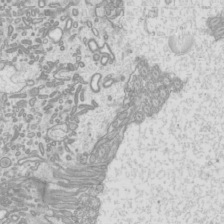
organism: Mouse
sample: Cilia; mouse epididymis